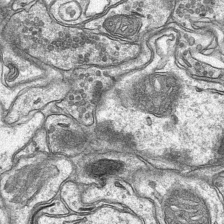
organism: Mouse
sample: CA1 Hippocampus